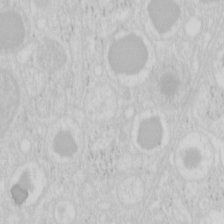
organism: Mouse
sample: Pancreas